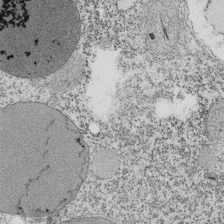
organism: Tetrahymena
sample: Cilia in tetrahymena